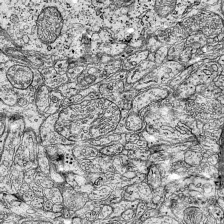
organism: Mouse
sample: Visual Cortex